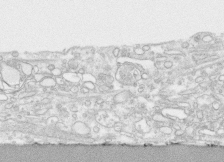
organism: Human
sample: CRL-1474